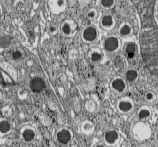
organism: C57BL Mouse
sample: Pancreatic islet